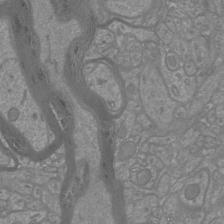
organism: Mouse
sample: Cortical neurons